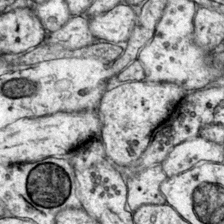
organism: Mouse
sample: Primary visual cortex